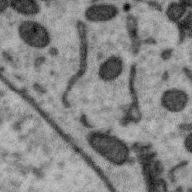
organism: Zebra finch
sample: Brain